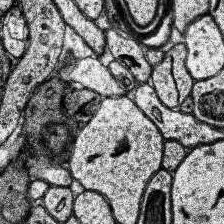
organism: Human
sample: Temporal Lobe